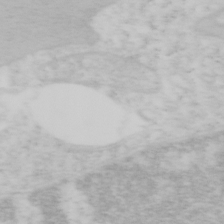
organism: Mouse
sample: OT-I killer T cells with ID8 ovarian cancer cells